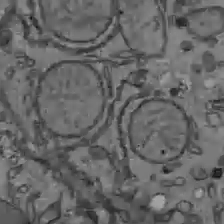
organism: C57BL Mouse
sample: Liver